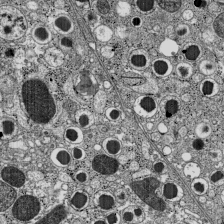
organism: C57BL Mouse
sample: Pancreatic islet